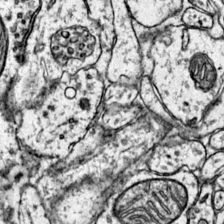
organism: Mouse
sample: Primary visual cortex